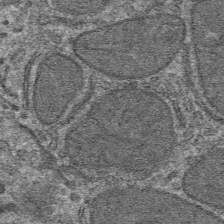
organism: Mouse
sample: Mouse hepatocytes